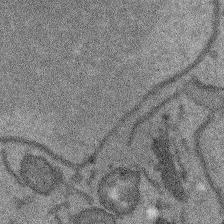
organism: Arabidopsis thaliana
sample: Root tip